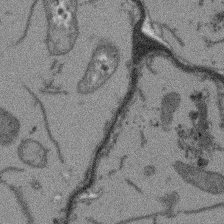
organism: Arabidopsis thaliana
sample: Root tip